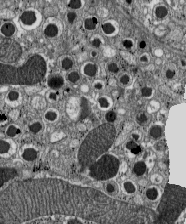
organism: C57BL Mouse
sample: Pancreatic islet